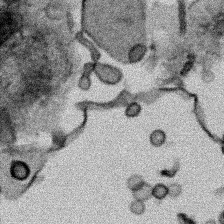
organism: Human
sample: Mitochondria in HCT116 cells